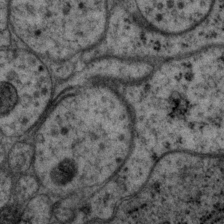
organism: P. pacificus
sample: Pharynx